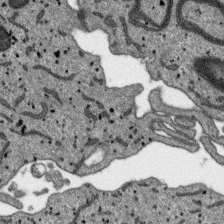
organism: Human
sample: Lung epithelial cells, uninfected (mock) control